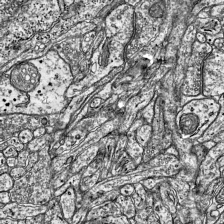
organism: Mouse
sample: Visual Cortex